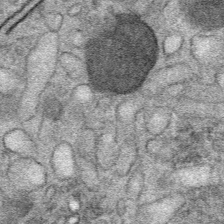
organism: Mouse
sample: Mouse Salivary gland